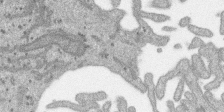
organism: Human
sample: Lung epithelial cells infected with SARS-CoV-2